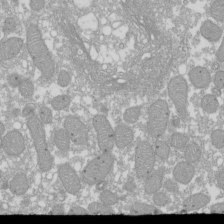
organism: Xenopus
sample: Cilia; centrioles in frog embryo cells